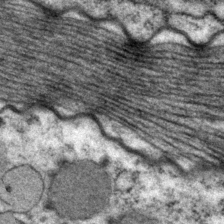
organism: P. pacificus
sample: Pharynx